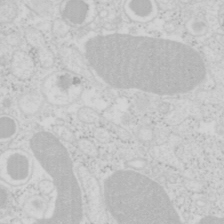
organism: Mouse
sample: Pancreas